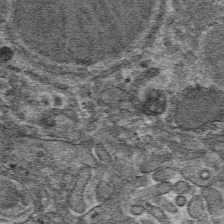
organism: Mouse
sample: Mouse hepatocytes